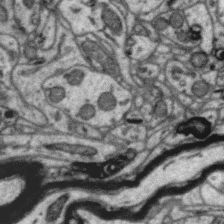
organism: Zebra finch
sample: Brain